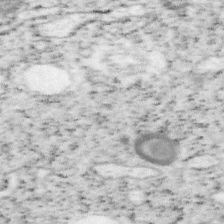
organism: Mouse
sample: OT-I killer T cells with ID8 ovarian cancer cells